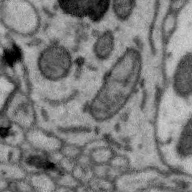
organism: Zebra finch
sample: Brain